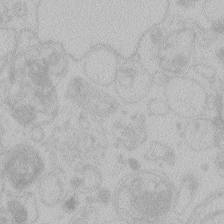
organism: Zebrafish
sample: Macrophage infected with Toxoplasma gondii